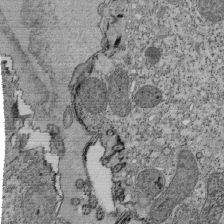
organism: Tetrahymena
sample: Cilia in tetrahymena